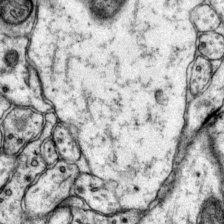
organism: Mouse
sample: Primary visual cortex